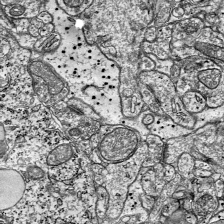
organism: Mouse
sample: Visual Cortex